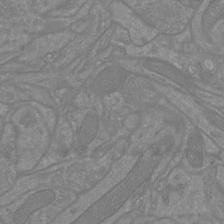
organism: Mouse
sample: Cortical neurons